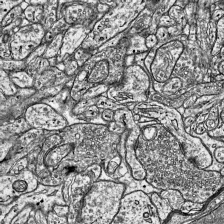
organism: Mouse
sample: Visual Cortex